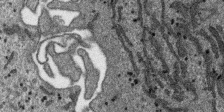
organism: Human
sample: Lung epithelial cells infected with SARS-CoV-2